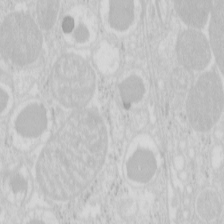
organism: Mouse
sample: Pancreas